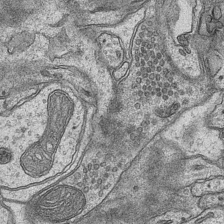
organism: Mouse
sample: CA1 Hippocampus